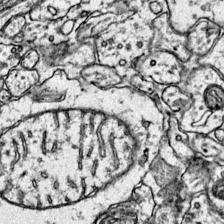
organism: Mouse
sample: Primary visual cortex